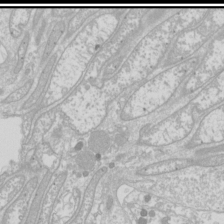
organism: Drosophila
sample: Cell division; meiosis; drosophila spermatocytes